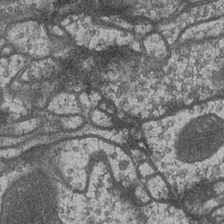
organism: Drosophila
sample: Optic medulla